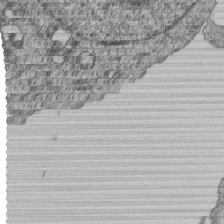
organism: Human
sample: MDA-MB-231 cells